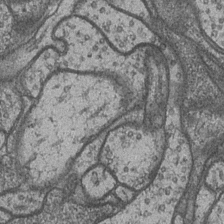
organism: Drosophila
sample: Optic medulla